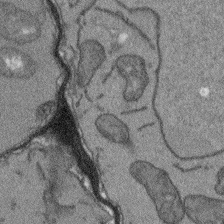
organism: Arabidopsis thaliana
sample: Root tip